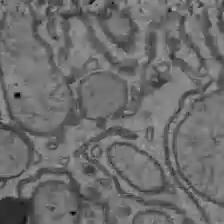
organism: C57BL Mouse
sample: Liver